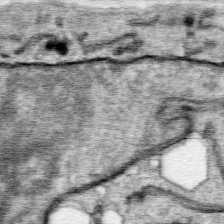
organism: Human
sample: HeLa cells